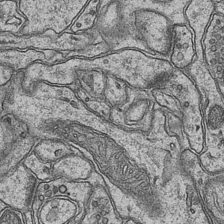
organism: Mouse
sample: CA1 Hippocampus